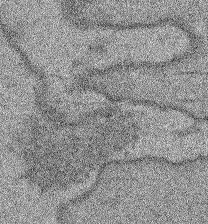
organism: Human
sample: HeLa cells